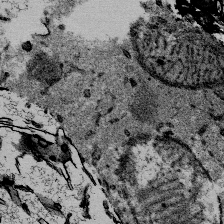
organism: Mouse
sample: Mouse Salivary gland